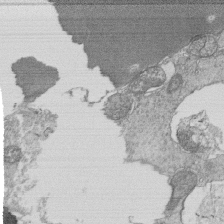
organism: Tetrahymena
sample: Cilia in tetrahymena